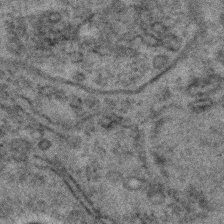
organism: C. elegans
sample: C. elegans embryo